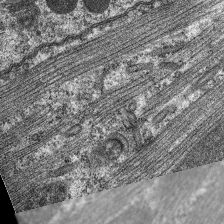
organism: C. elegans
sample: Pharynx